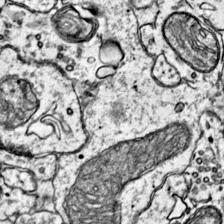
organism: Mouse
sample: Primary visual cortex